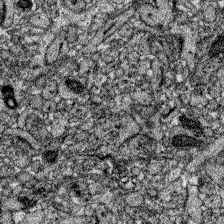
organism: Zebrafish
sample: Larval olfactory bulb